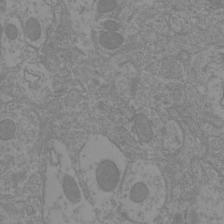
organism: Mouse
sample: Cortical neurons